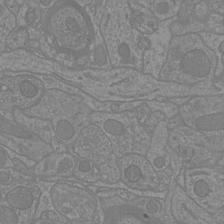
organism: Mouse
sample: Cortical neurons